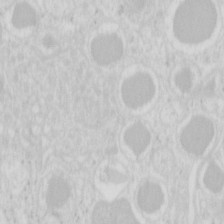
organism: Mouse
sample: Pancreas